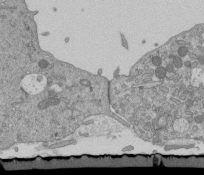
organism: Mouse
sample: ED-1 cell nuclei; centrioles